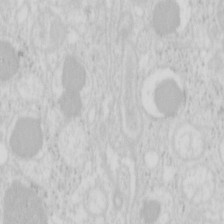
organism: Mouse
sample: Pancreas